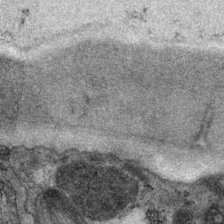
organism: P. pacificus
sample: Pharynx